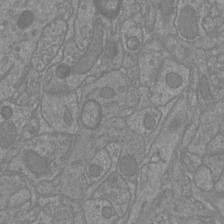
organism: Mouse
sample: Cortical neurons